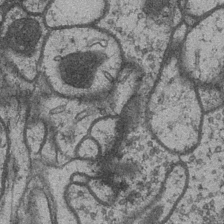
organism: Drosophila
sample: Optic medulla